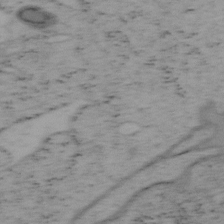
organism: Mouse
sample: OT-I killer T cells with ID8 ovarian cancer cells